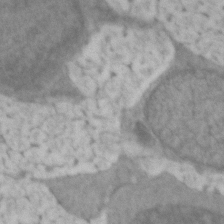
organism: Zebrafish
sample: Zebrafish embryo